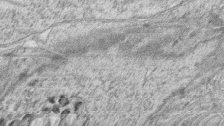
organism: Zebrafish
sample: synaptic ribbons in rod cells and cone cells